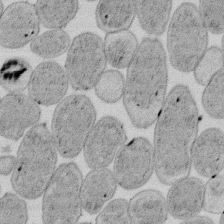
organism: E. coli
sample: Bacterial nucleoid